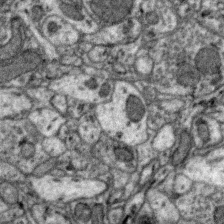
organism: Zebra finch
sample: Brain